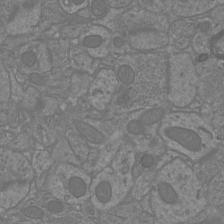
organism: Mouse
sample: Cortical neurons